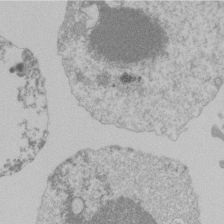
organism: Mouse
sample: Activated Pmel transgenic CD8+ T Cells